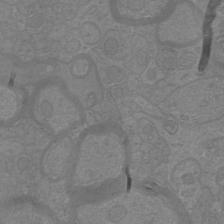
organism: Mouse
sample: Cortical neurons